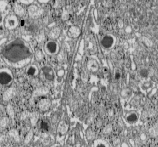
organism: C57BL Mouse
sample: Pancreatic islet